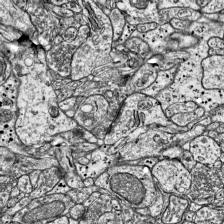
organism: Mouse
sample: Visual Cortex